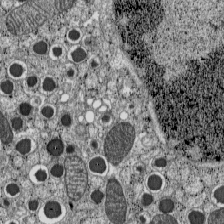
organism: C57BL Mouse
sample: Pancreatic islet